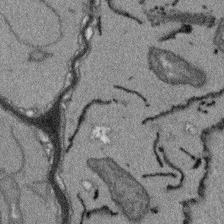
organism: Arabidopsis thaliana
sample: Root tip